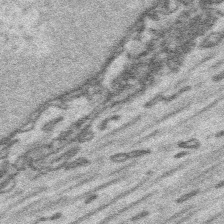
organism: Platynereis dumerilii